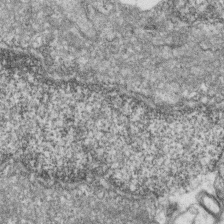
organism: Zebrafish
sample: Cilia; retinal pigment epithelium